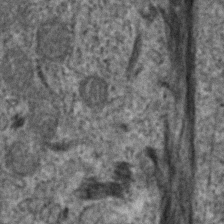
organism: Human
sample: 1205lu cells